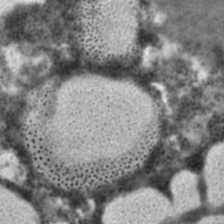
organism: C. elegans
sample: C. elegans embryo